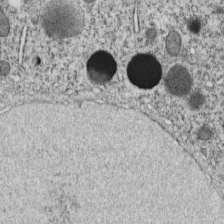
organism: C. elegans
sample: C. elegans embryo early stage